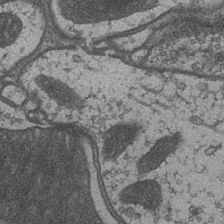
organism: Drosophila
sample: Optic medulla